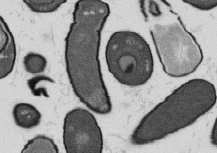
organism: B. subtilis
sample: Bacterial spore